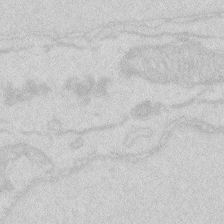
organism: Zebrafish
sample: Macrophage